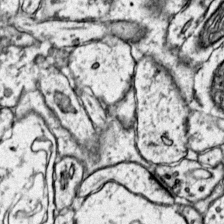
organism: Mouse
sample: Primary visual cortex